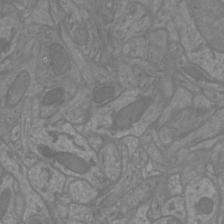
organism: Mouse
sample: Cortical neurons